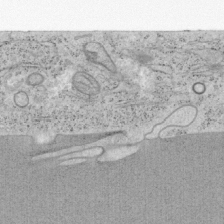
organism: Human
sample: HeLa cells